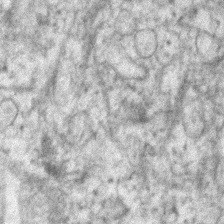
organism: Human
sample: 1205lu cells